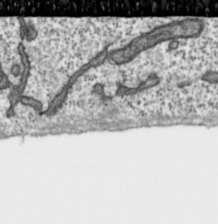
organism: Toxoplasma gondii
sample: Parasites in a vacuole inside a host cell